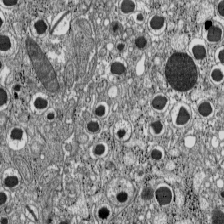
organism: C57BL Mouse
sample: Pancreatic islet